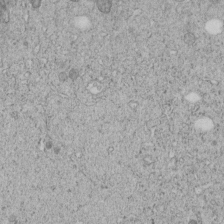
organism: C. elegans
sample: C. elegans embryo early stage